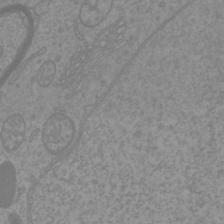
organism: Mouse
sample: Cortical neurons